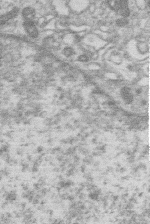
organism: Human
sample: Macrophage cells